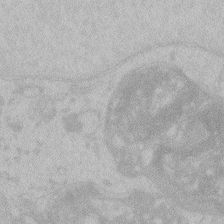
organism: Zebrafish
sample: Macrophage infected with Toxoplasma gondii